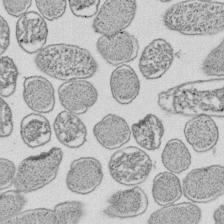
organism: E. coli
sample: Bacterial nucleoid